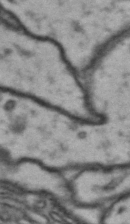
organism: Drosophila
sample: Brain